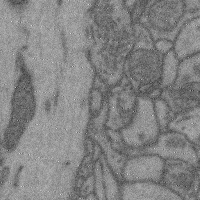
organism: Mouse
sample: Cerebral cortex